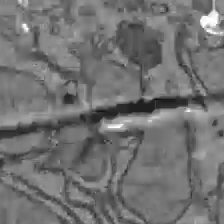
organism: C57BL Mouse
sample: Liver